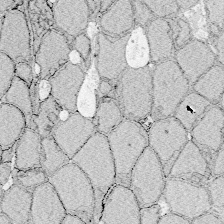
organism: Zebrafish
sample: Whole-Brain